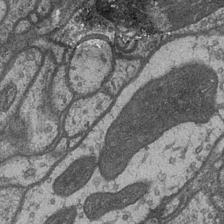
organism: Drosophila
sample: Optic medulla